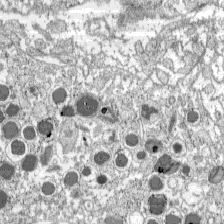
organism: C57BL Mouse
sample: Pancreatic islet